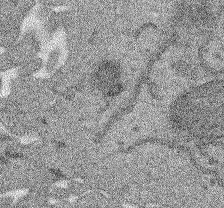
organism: Human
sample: HeLa cells